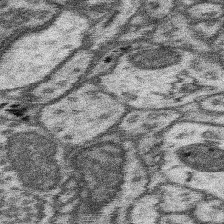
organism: Mouse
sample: Somatosensory cortex neuropil